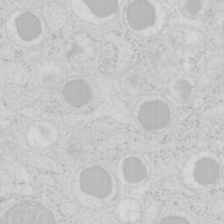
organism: Mouse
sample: Pancreas